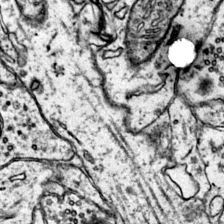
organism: Mouse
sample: Primary visual cortex